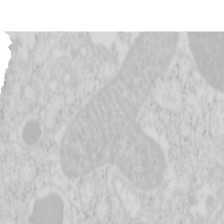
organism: Mouse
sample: Pancreas